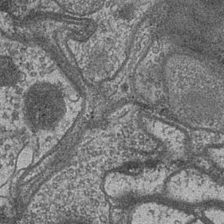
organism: Drosophila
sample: Optic medulla